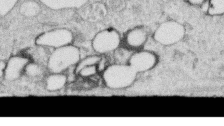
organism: Human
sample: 1205lu cells